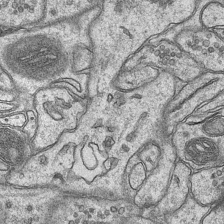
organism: Mouse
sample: CA1 Hippocampus